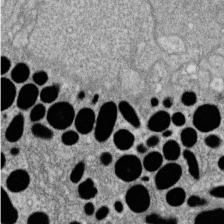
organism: Zebrafish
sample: Cilia; retinal pigment epithelium